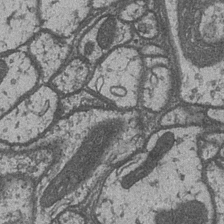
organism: Drosophila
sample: Optic medulla